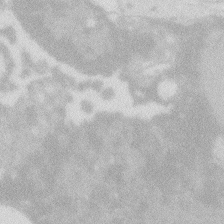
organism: Zebrafish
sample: Macrophage